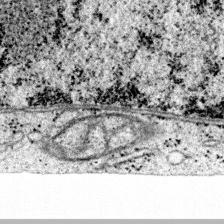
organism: Human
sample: HeLa cells